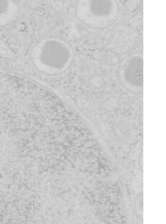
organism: Mouse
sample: Pancreas